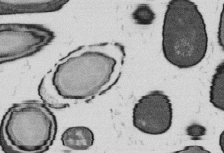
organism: B. subtilis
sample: Bacterial spore